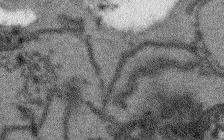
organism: Arabidopsis thaliana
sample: Root tip